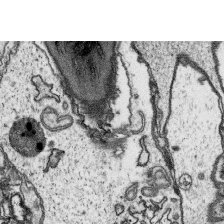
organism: Platynereis dumerilii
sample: Parapodia